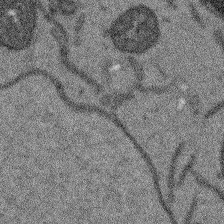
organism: Arabidopsis thaliana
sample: Root tip